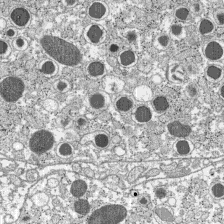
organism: C57BL Mouse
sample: Pancreatic islet